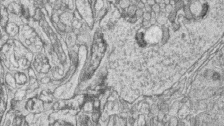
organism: Zebrafish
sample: synaptic ribbons in rod cells and cone cells